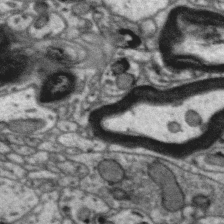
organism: Zebra finch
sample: Brain